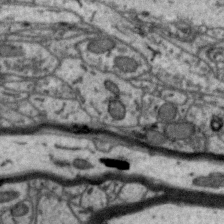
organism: Zebra finch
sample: Brain